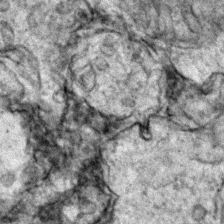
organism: Zebrafish